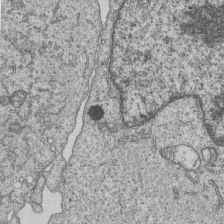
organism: Human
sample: MDA-MB-231 cells